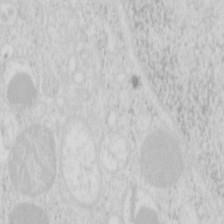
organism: Mouse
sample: Pancreas